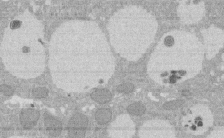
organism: Rat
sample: Salivary granule